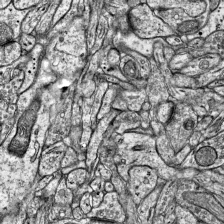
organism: Mouse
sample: Visual Cortex